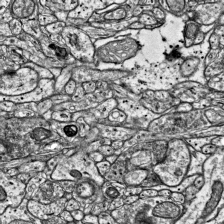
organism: Mouse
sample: Visual Cortex